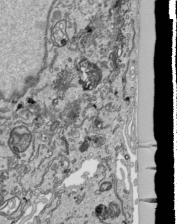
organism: Human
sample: Mitochondria in HCT116 cells